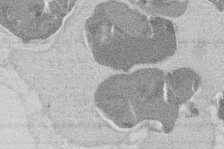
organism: Mouse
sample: T cell stromal cell synapse